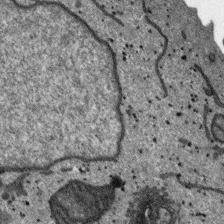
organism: Human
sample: Lung epithelial cells, uninfected (mock) control